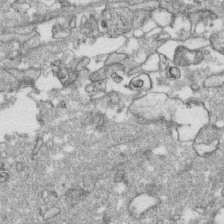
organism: Human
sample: CRL-1474